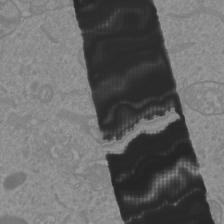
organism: Mouse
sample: Cortical neurons